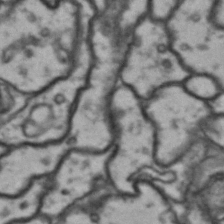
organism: Drosophila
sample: Brain